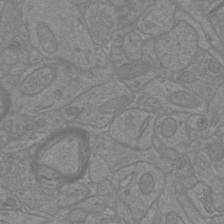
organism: Mouse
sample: Cortical neurons